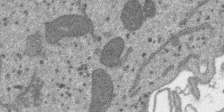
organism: Human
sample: Lung epithelial cells infected with SARS-CoV-2